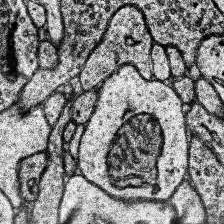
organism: Human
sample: Temporal Lobe